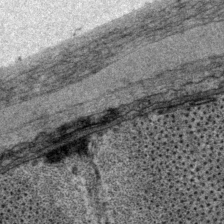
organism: P. pacificus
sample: Pharynx